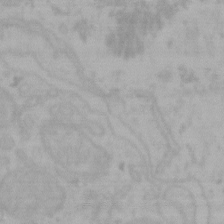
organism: Mouse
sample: Choroid plexus